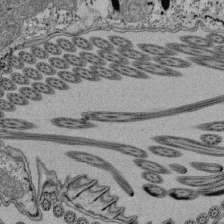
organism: Tetrahymena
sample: Cilia in tetrahymena